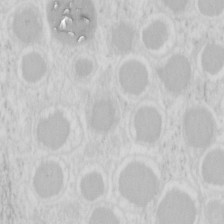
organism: Mouse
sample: Pancreas